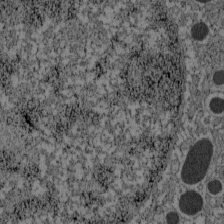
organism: C57BL Mouse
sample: Pancreatic islet